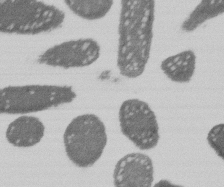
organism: E. coli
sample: Bacterial nucleoid